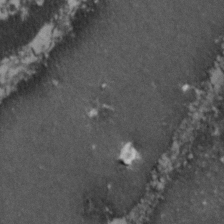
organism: Zebrafish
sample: Zebrafish embryo